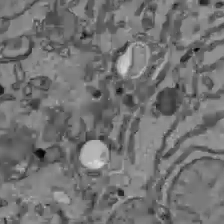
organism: C57BL Mouse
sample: Liver